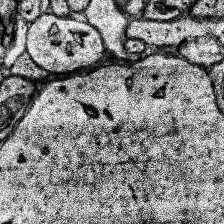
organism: Human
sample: Temporal Lobe